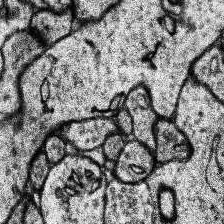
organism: Human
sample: Temporal Lobe